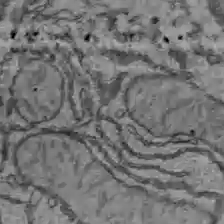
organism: C57BL Mouse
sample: Liver